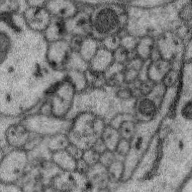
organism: Zebra finch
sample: Brain